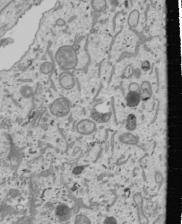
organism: Human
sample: Mitochondria in U2OS cells